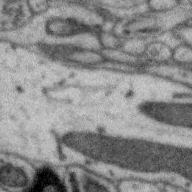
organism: Zebra finch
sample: Brain